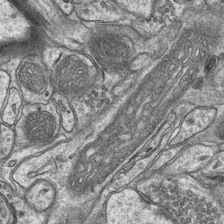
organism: Mouse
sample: CA1 Hippocampus